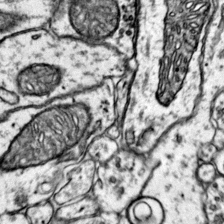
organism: Mouse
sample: Primary visual cortex